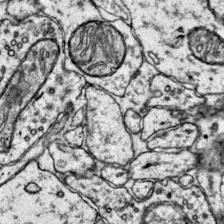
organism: Mouse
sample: Primary visual cortex